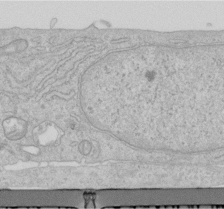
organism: Human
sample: Centriole in RPE cells